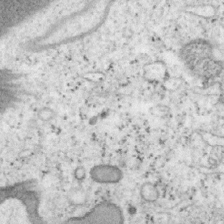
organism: Mouse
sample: OT-I killer T cells with ID8 ovarian cancer cells